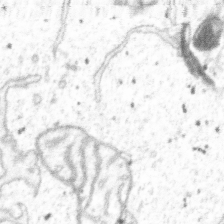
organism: Human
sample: HeLa cells